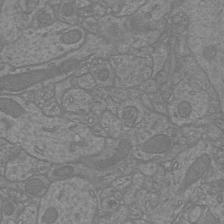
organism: Mouse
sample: Cortical neurons